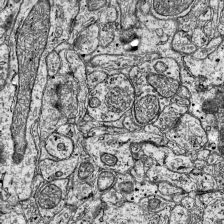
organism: Mouse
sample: Visual Cortex